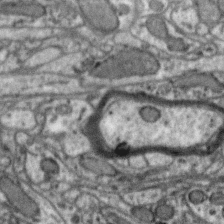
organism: Zebra finch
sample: Brain